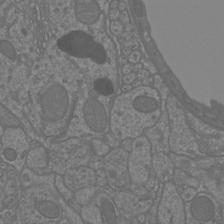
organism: Mouse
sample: Cortical neurons